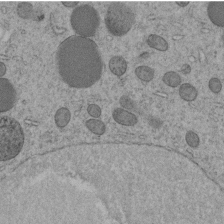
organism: C. elegans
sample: C. elegans embryo early stage